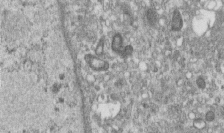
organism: Human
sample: Centriole in RPE cells